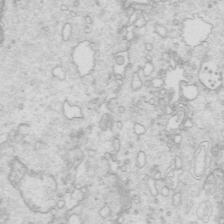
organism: Mouse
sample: Multiciliated cells